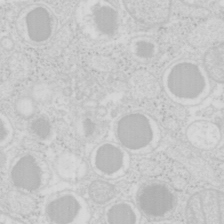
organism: Mouse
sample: Pancreas